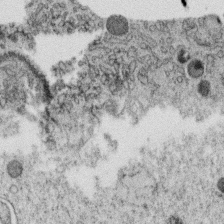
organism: C. elegans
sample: C. elegans oocyte; sperm cells